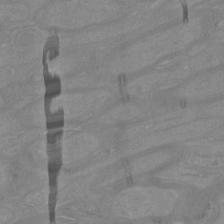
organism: Mouse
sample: Cortical neurons